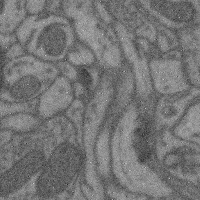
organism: Mouse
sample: Cerebral cortex